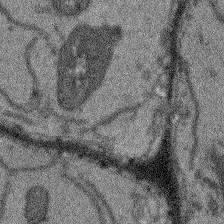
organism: Arabidopsis thaliana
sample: Root tip